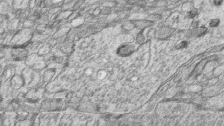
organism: Zebrafish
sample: synaptic ribbons in rod cells and cone cells